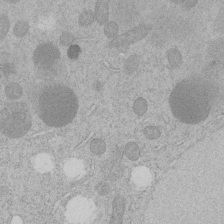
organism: C. elegans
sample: C. elegans embryo early stage